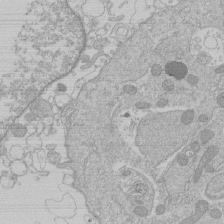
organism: Human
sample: Macrophage cells